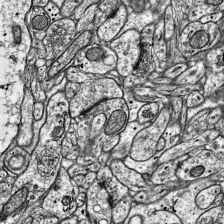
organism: Mouse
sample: Visual Cortex